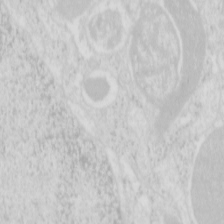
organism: Mouse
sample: Pancreas